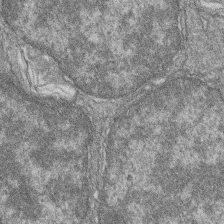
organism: Zebrafish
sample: Cilia; retinal pigment epithelium